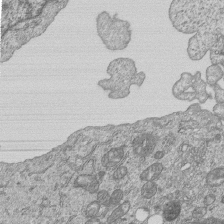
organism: Human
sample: MDA-MB-231 cells